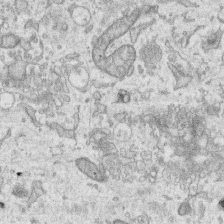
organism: Human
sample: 1205lu cells